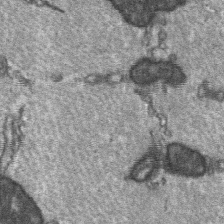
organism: C57BL Mouse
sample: Soleus